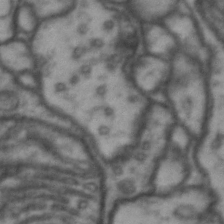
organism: Drosophila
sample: Brain